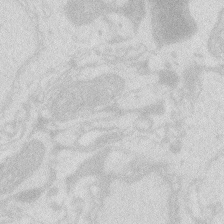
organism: Zebrafish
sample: Macrophage